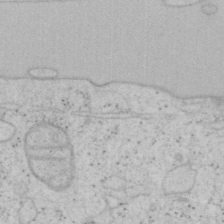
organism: Human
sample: HeLa cells